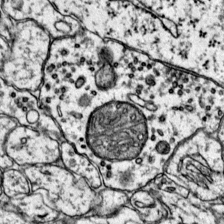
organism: Mouse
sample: Primary visual cortex